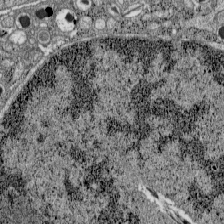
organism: C57BL Mouse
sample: Pancreatic islet